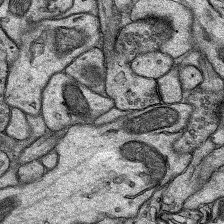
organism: Rat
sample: Hippocampus